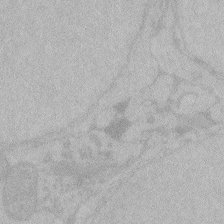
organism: Zebrafish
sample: Macrophage infected with Toxoplasma gondii